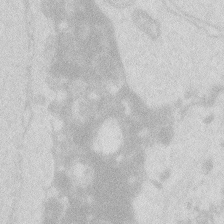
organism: Zebrafish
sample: Macrophage